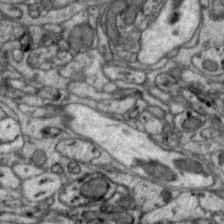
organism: Zebra finch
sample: Brain